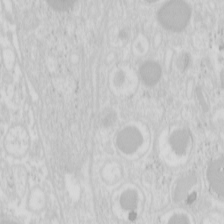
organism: Mouse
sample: Pancreas